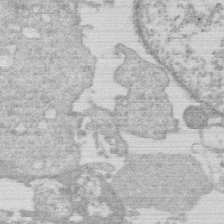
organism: Human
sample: Macrophage cells